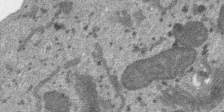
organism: Human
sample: Lung epithelial cells infected with SARS-CoV-2